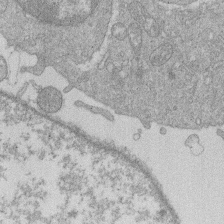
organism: Human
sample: Macrophage cells